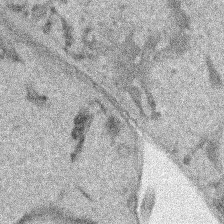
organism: Human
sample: Mitochondria in HCT116 cells